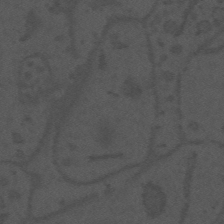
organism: Mouse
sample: Suprachiasmatic nucleus